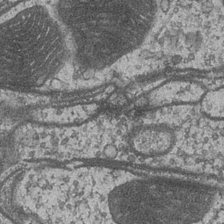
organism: Drosophila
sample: Optic medulla